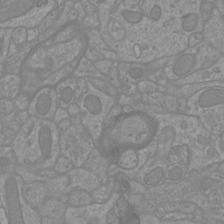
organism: Mouse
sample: Cortical neurons